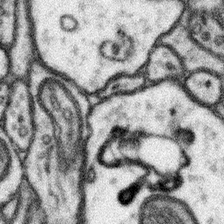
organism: Mouse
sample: Somatosensory cortex neuropil